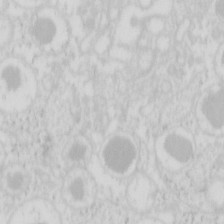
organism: Mouse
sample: Pancreas